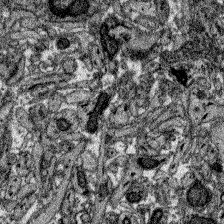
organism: Zebrafish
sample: Larval olfactory bulb